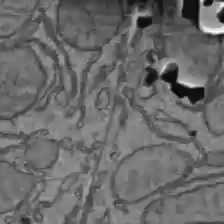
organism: C57BL Mouse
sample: Liver